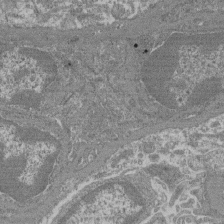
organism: Mouse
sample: Glomerulus